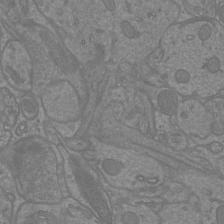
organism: Mouse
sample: Cortical neurons